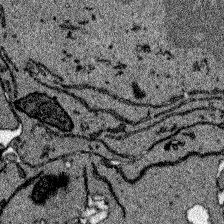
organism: Zebrafish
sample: Larval olfactory bulb